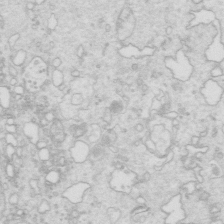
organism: Mouse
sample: Multiciliated cells